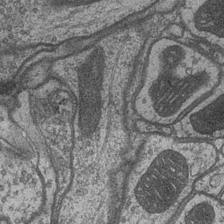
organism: Drosophila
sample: Optic medulla